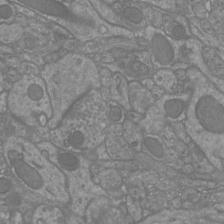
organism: Mouse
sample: Cortical neurons